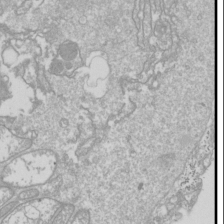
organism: Drosophila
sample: Cell division; meiosis; drosophila spermatocytes